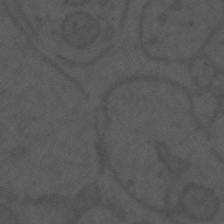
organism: Mouse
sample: Suprachiasmatic nucleus